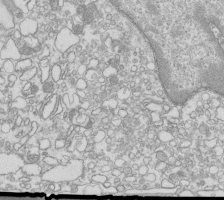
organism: Mouse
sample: Macrophages